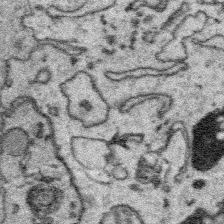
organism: Platynereis dumerilii